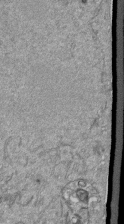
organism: Mouse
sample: ED-1 cell nuclei; centrioles